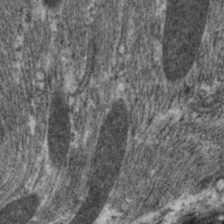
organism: C. elegans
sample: Pharynx